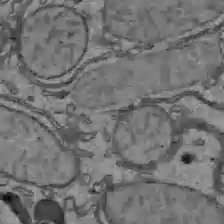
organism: C57BL Mouse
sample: Liver